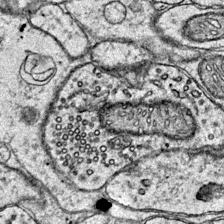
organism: Mouse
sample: Primary visual cortex